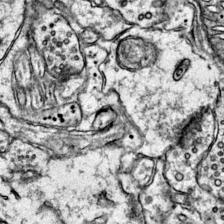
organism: Mouse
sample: Primary visual cortex